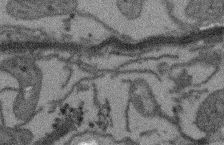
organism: Arabidopsis thaliana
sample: Root tip